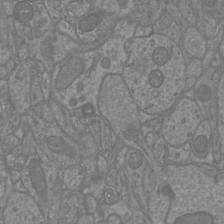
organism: Mouse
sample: Cortical neurons